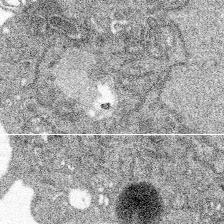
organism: Spongilla lacustris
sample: Multiple